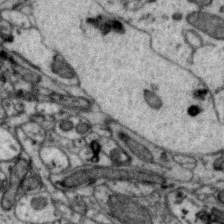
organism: Zebra finch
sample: Brain